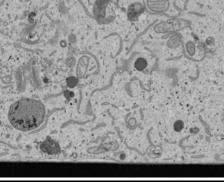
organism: Human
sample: Mitochondria in U2OS cells